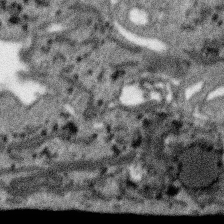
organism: Human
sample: Lung epithelial cells infected with SARS-CoV-2